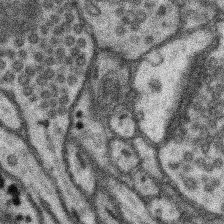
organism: Mouse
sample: Somatosensory cortex neuropil